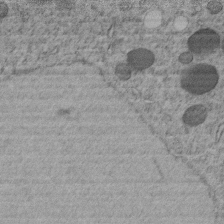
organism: C. elegans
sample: C. elegans embryo early stage